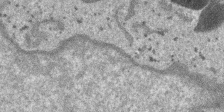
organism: Human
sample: Lung epithelial cells infected with SARS-CoV-2